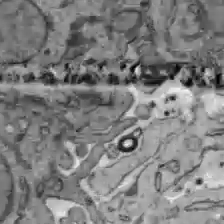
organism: C57BL Mouse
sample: Liver